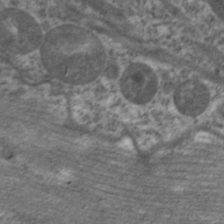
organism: C. elegans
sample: Pharynx